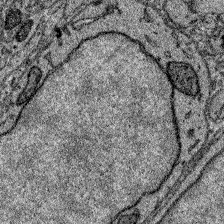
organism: Zebrafish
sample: Larval olfactory bulb